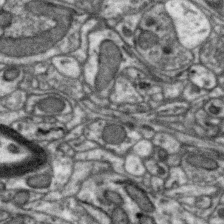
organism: Zebra finch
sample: Brain